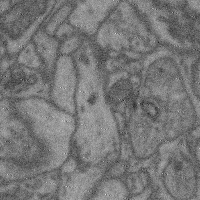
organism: Mouse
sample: Cerebral cortex